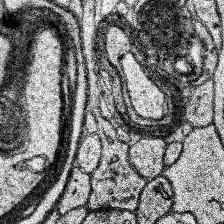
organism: Human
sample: Temporal Lobe